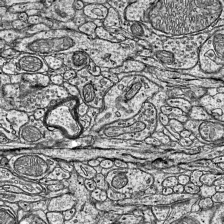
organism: Mouse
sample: Visual Cortex